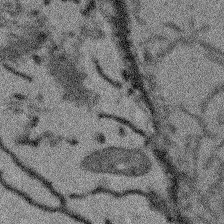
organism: Arabidopsis thaliana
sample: Root tip